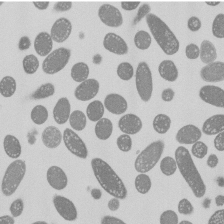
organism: E. coli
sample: Bacterial nucleoid